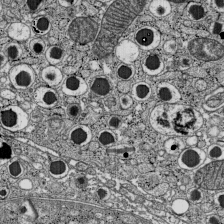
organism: C57BL Mouse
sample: Pancreatic islet